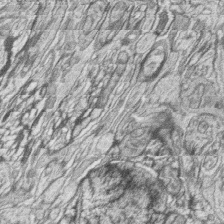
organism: Zebrafish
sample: synaptic ribbons in rod cells and cone cells